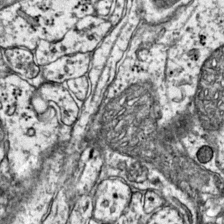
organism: Mouse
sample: Primary visual cortex